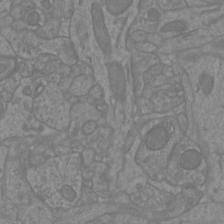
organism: Mouse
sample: Cortical neurons